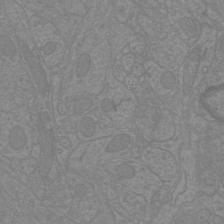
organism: Mouse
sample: Cortical neurons